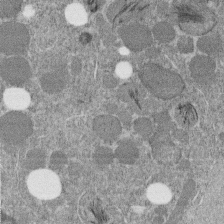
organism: C. elegans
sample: C. elegans embryo early stage